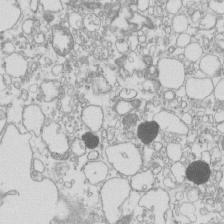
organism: Mouse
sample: Macrophages